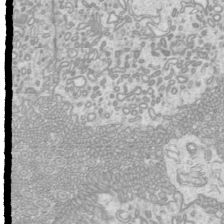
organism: Mouse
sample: Cilia; mouse epididymis